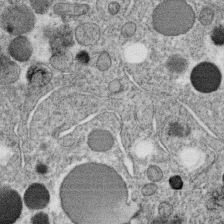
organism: C. elegans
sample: C. elegans oocyte; sperm cells